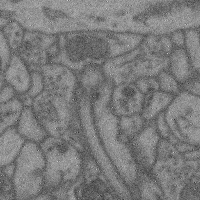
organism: Mouse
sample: Cerebral cortex